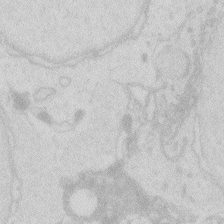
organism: Zebrafish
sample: Macrophage